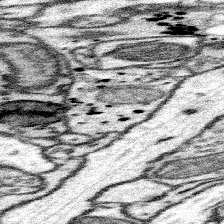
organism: Mouse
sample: Somatosensory cortex neuropil